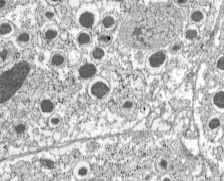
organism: C57BL Mouse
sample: Pancreatic islet